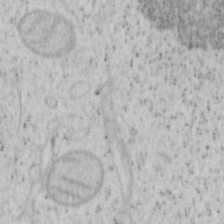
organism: Human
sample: HeLa cells